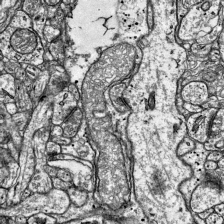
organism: Mouse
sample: Visual Cortex